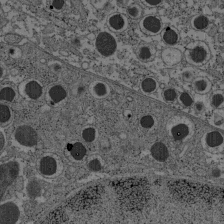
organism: C57BL Mouse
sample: Pancreatic islet